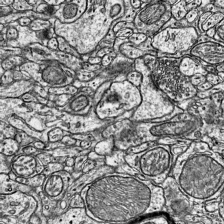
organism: Mouse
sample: Visual Cortex